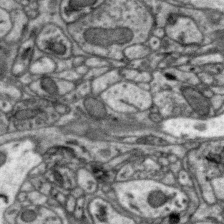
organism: Zebra finch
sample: Brain